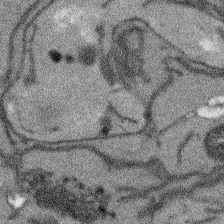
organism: Arabidopsis thaliana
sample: Root tip